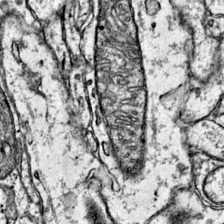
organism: Mouse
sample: Primary visual cortex